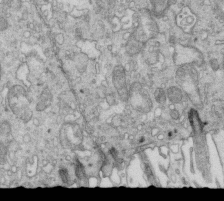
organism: Mouse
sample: Multiciliated cells